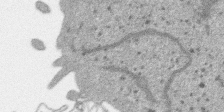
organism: Human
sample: Lung epithelial cells infected with SARS-CoV-2